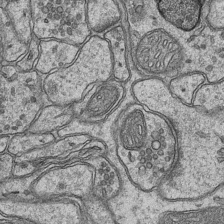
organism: Mouse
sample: CA1 Hippocampus